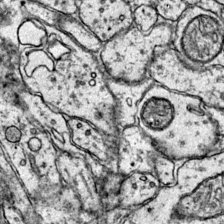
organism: Mouse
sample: Primary visual cortex